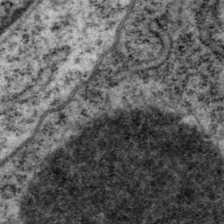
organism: P. pacificus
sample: Pharynx